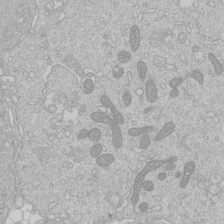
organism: Human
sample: Macrophage cells